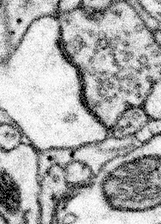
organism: Mouse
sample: Somatosensory cortex neuropil